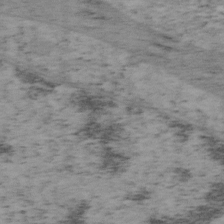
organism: Mouse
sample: OT-I killer T cells with ID8 ovarian cancer cells